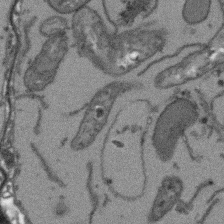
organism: Arabidopsis thaliana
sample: Root tip